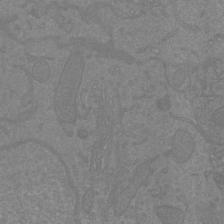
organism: Mouse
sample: Cortical neurons